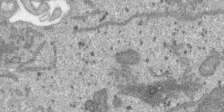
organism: Human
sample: Lung epithelial cells infected with SARS-CoV-2